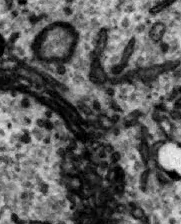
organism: Human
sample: HeLa cells